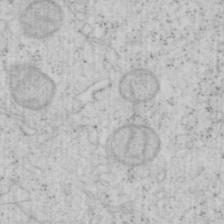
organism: Human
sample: HeLa cells